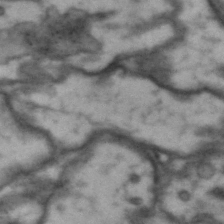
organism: Drosophila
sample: Brain